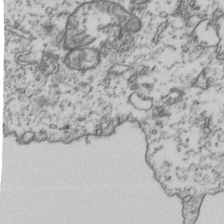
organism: Human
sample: Activated Jurkat CD4+ T cells